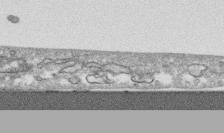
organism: Human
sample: CRL-1474